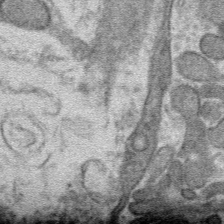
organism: Mouse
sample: Mouse hepatocytes